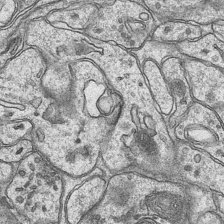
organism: Mouse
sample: CA1 Hippocampus